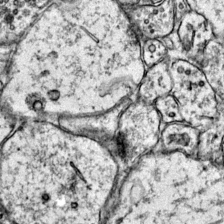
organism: Mouse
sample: Primary visual cortex